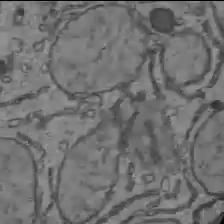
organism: C57BL Mouse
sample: Liver